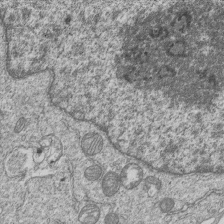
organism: Human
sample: MDA-MB-231 cells